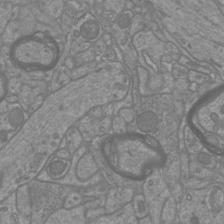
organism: Mouse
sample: Cortical neurons